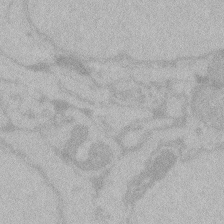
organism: Zebrafish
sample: Macrophage infected with Toxoplasma gondii